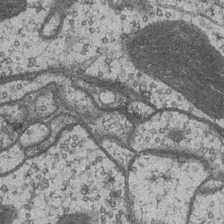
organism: Drosophila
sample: Optic medulla